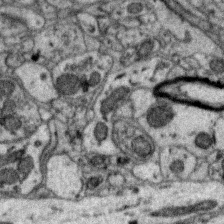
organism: Zebra finch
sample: Brain